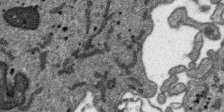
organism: Human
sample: Lung epithelial cells infected with SARS-CoV-2